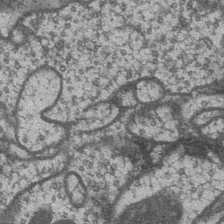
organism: Drosophila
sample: Optic medulla